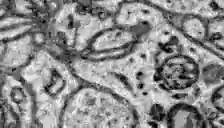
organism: Zebrafish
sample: Brain